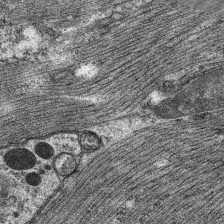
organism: C. elegans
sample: Pharynx